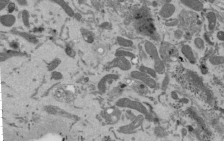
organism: Mouse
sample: ED-1 cell nuclei; centrioles